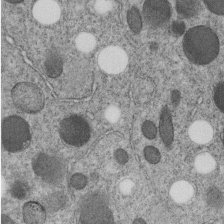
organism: C. elegans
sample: C. elegans embryo early stage